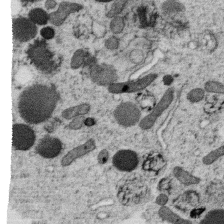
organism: C. elegans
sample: C. elegans oocyte; sperm cells